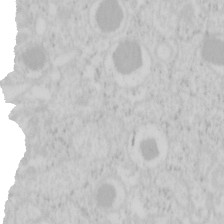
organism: Mouse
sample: Pancreas